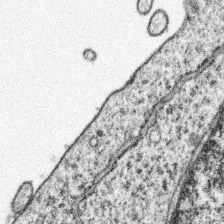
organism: Human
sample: HeLa cells